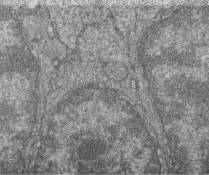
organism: Zebrafish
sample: Cilia; retinal pigment epithelium